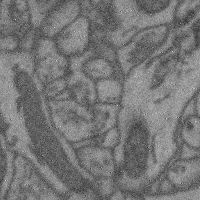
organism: Mouse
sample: Cerebral cortex